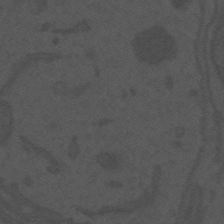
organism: Mouse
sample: Suprachiasmatic nucleus